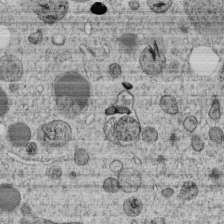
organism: C. elegans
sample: C. elegans embryo early stage